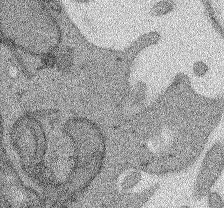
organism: Human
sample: HeLa cells